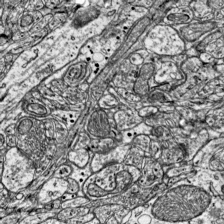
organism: Mouse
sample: Visual Cortex